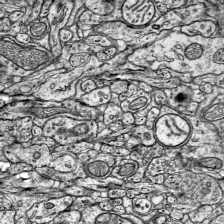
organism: Mouse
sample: Visual Cortex